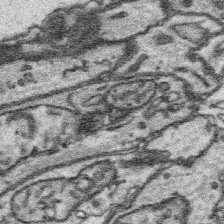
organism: Platynereis dumerilii